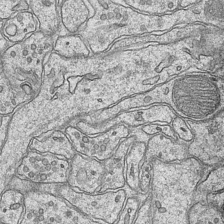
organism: Mouse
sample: CA1 Hippocampus